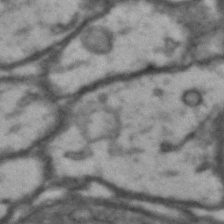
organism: Drosophila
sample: Brain